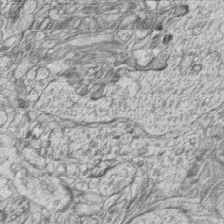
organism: Zebrafish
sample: synaptic ribbons in rod cells and cone cells